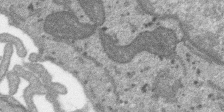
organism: Human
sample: Lung epithelial cells infected with SARS-CoV-2